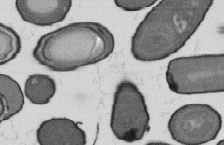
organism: B. subtilis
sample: Bacterial spore